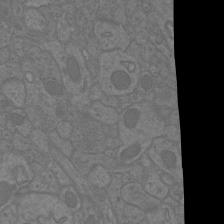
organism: Mouse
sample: Cortical neurons